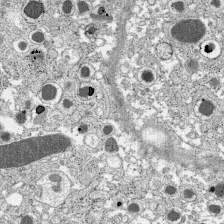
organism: C57BL Mouse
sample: Pancreatic islet